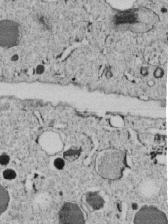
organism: C. elegans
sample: C. elegans embryo early stage